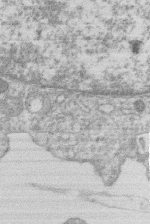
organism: Human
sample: Macrophage cells